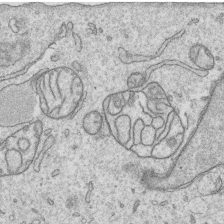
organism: Human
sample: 1205lu cells